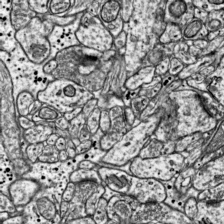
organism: Mouse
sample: Visual Cortex